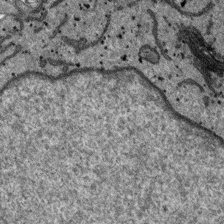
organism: Human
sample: Lung epithelial cells, uninfected (mock) control